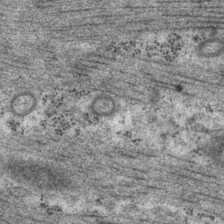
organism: P. pacificus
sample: Pharynx